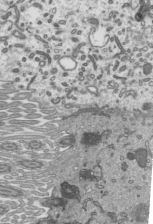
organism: Mouse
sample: Mouse epididymis efferent ductule cilia